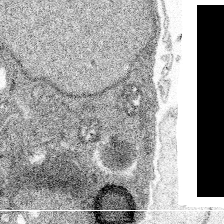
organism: Spongilla lacustris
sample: Multiple